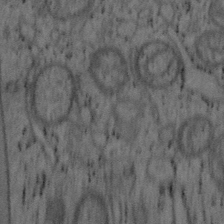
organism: Human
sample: HeLa cells